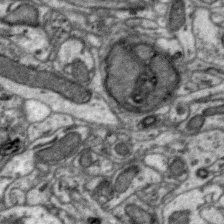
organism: Zebra finch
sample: Brain